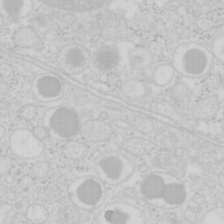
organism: Mouse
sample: Pancreas